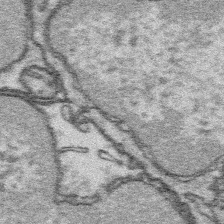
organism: Platynereis dumerilii